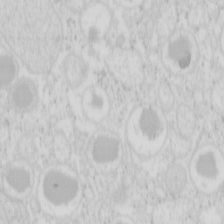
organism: Mouse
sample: Pancreas